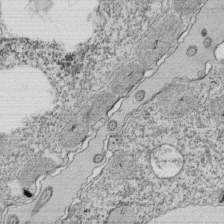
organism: Tetrahymena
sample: Cilia in tetrahymena